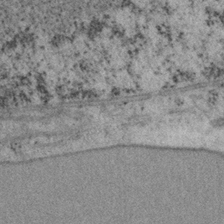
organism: Human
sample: HeLa cells